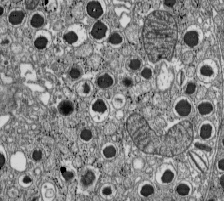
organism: C57BL Mouse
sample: Pancreatic islet